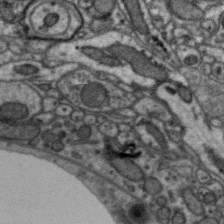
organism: Zebra finch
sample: Brain